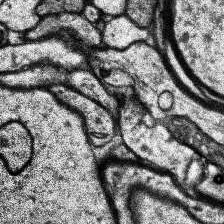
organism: Human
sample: Temporal Lobe